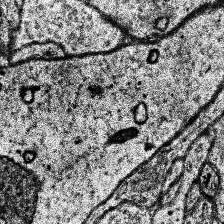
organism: Human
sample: Temporal Lobe